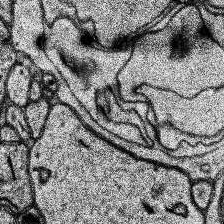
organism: Human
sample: Temporal Lobe